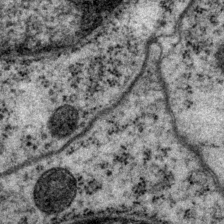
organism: P. pacificus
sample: Pharynx